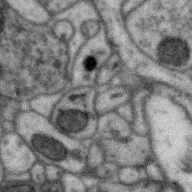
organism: Zebra finch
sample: Brain